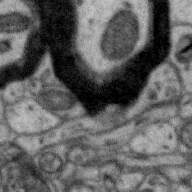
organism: Zebra finch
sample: Brain